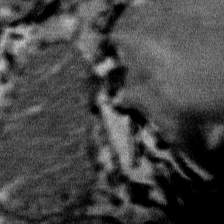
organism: Mouse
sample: Mouse Salivary gland